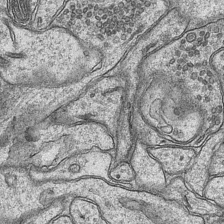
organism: Mouse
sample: CA1 Hippocampus